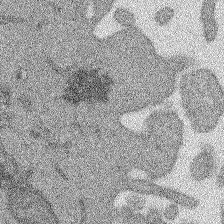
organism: Human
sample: HeLa cells